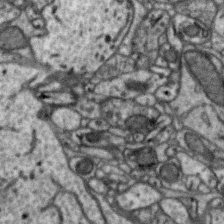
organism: Zebra finch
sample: Brain